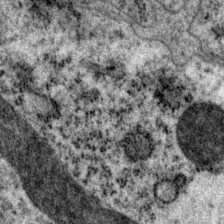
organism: P. pacificus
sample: Pharynx